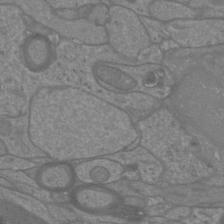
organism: Mouse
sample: Cortical neurons